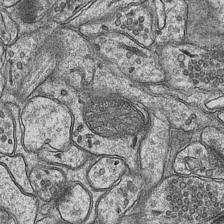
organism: Mouse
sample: CA1 Hippocampus